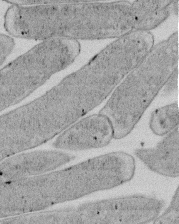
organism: E. coli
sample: Bacterial nucleoid